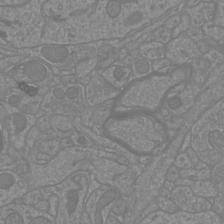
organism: Mouse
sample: Cortical neurons